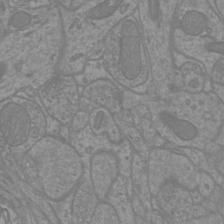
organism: Mouse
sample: Cortical neurons